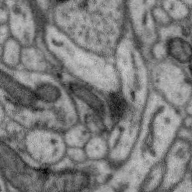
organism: Zebra finch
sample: Brain